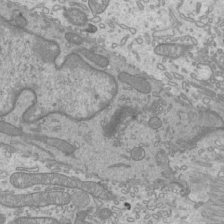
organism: Mouse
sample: Cilia; mouse epididymis